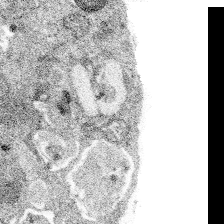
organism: Spongilla lacustris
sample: Multiple